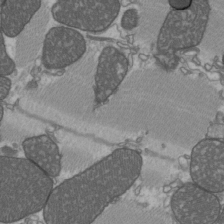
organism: C57BL Mouse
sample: Heart